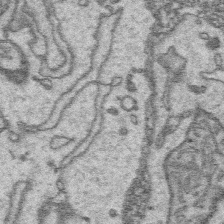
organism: Platynereis dumerilii